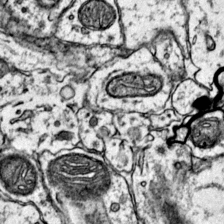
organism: Mouse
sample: Primary visual cortex